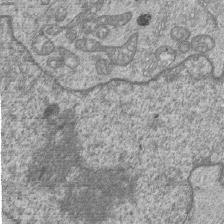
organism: Human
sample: MDA-MB-231 cells